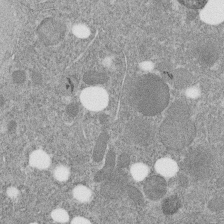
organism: C. elegans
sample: C. elegans embryo early stage